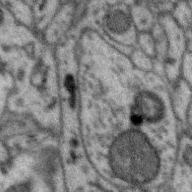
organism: Zebra finch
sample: Brain